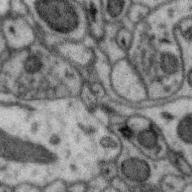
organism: Zebra finch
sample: Brain